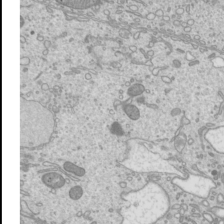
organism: Mouse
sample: Cilia; mouse epididymis